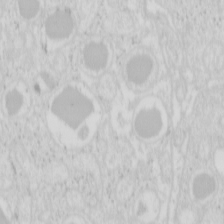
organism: Mouse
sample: Pancreas